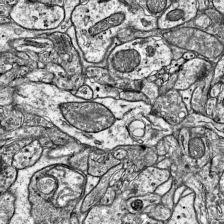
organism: Mouse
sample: Visual Cortex